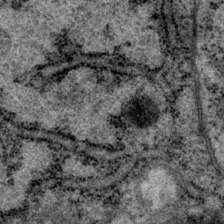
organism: P. pacificus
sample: Pharynx